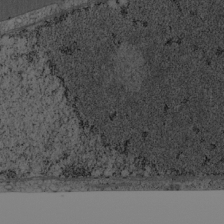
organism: African green monkey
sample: COS-7 cells